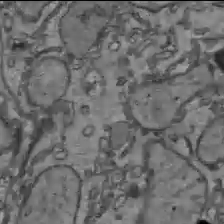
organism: C57BL Mouse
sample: Liver